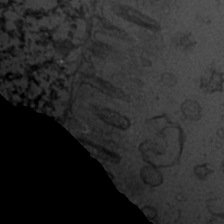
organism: C. elegans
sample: C. elegans embryo